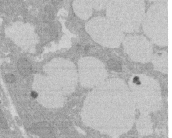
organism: Rat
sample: Salivary granule